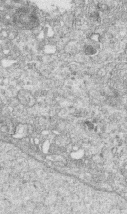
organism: Human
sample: HeLa cell HIV synapse